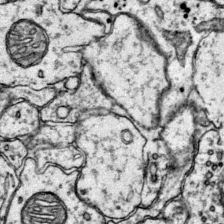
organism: Mouse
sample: Primary visual cortex